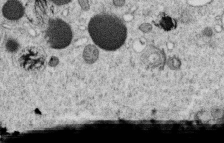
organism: C. elegans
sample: C. elegans oocyte; sperm cells